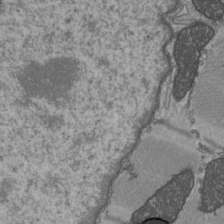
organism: C57BL Mouse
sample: Heart